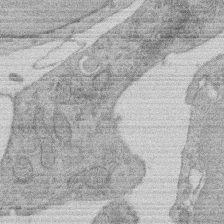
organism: Rat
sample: Salivary granule